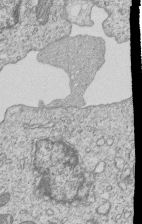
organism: Human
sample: MDA-MB-231 cells